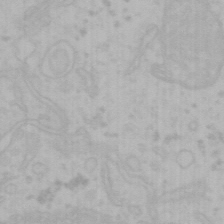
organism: Mouse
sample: Choroid plexus